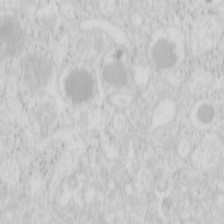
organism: Mouse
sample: Pancreas